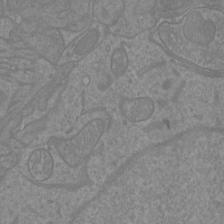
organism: Mouse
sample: Cortical neurons